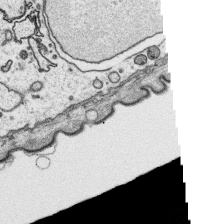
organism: Platynereis dumerilii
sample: Parapodia